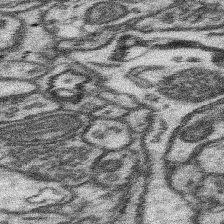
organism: Mouse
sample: Somatosensory cortex neuropil